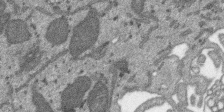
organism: Human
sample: Lung epithelial cells infected with SARS-CoV-2